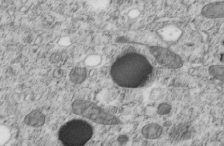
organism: C. elegans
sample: C. elegans embryo early stage